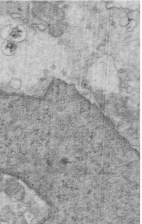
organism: Mouse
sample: Multiciliated cells